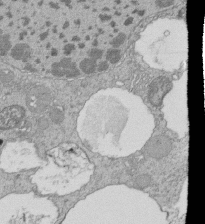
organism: Tetrahymena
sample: Cilia in tetrahymena